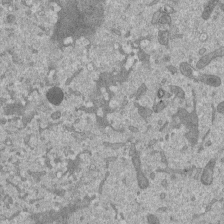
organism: Mouse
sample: ED-1 cell nuclei; centrioles